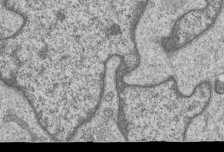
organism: Human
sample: MDA-MB-231 cells